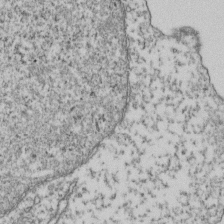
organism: Human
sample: Activated Jurkat CD4+ T cells